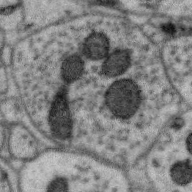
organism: Zebra finch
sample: Brain